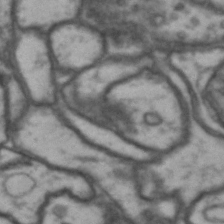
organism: Drosophila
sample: Brain